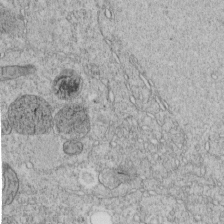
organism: C. elegans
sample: C. elegans embryo early stage